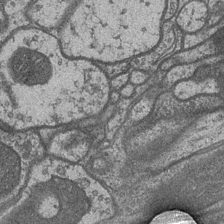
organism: Drosophila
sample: Optic medulla